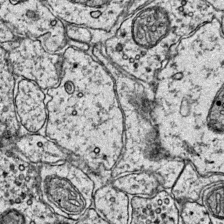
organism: Mouse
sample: Primary visual cortex